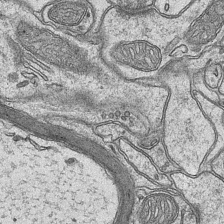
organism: Mouse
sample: CA1 Hippocampus